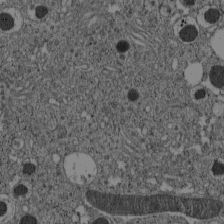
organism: C57BL Mouse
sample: Pancreatic islet